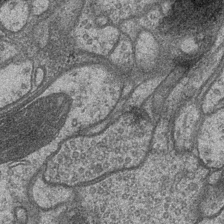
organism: Drosophila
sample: Optic medulla